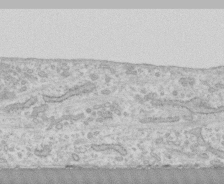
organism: Human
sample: CRL-1474